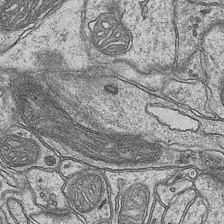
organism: Mouse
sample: CA1 Hippocampus